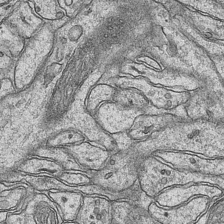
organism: Mouse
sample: CA1 Hippocampus